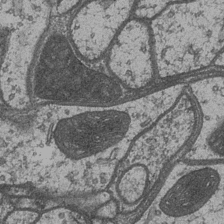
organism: Drosophila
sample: Optic medulla